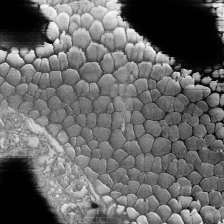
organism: Tetrahymena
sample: Cilia in tetrahymena